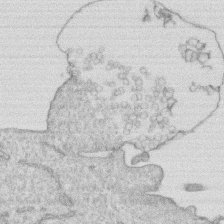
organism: Human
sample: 1205lu cells